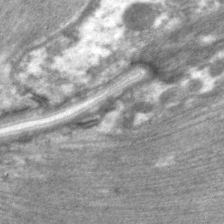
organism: C. elegans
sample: Pharynx